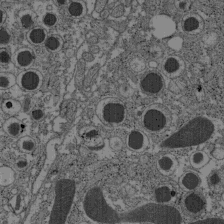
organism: C57BL Mouse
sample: Pancreatic islet